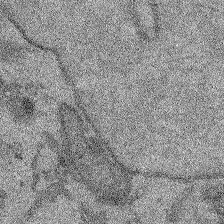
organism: Human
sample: HeLa cells